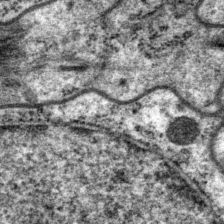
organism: P. pacificus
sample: Pharynx